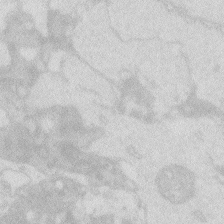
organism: Zebrafish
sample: Macrophage